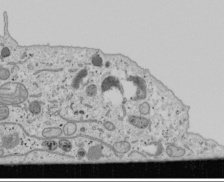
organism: Human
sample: Mitochondria in U2OS cells